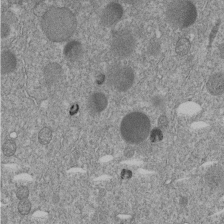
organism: C. elegans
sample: C. elegans embryo early stage